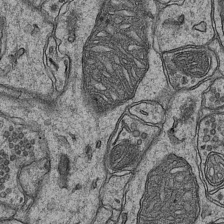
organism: Mouse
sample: CA1 Hippocampus